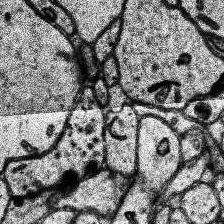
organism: Human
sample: Temporal Lobe